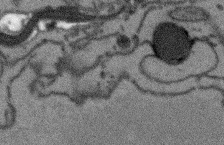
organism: Arabidopsis thaliana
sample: Root tip